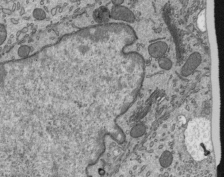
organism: Mouse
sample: Mouse epididymis efferent ductule cilia